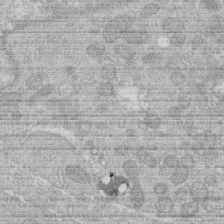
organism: Human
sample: Macrophage cells